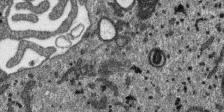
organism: Human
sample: Lung epithelial cells infected with SARS-CoV-2